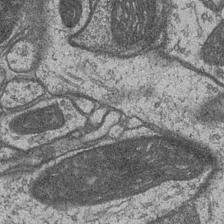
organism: Drosophila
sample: Optic medulla